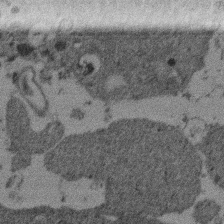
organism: Mouse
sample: Dividing mouse embryo 1 cell stage